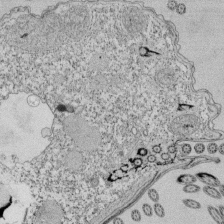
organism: Tetrahymena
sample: Cilia in tetrahymena